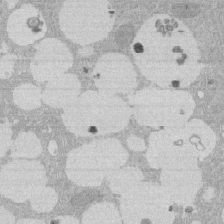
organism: Rat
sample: Salivary granule